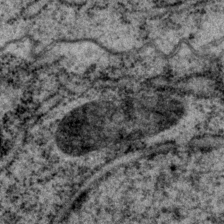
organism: P. pacificus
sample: Pharynx